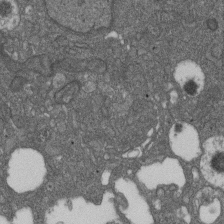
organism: Drosophila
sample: Nephrocyte